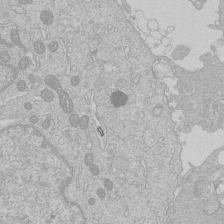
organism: Human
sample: Macrophage cells